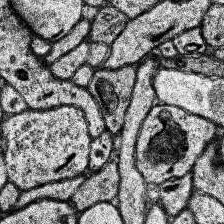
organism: Human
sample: Temporal Lobe